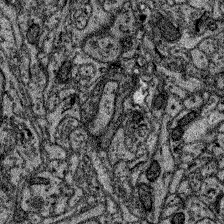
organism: Zebrafish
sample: Larval olfactory bulb